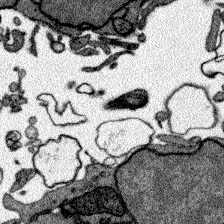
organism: Zebrafish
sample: Larval olfactory bulb